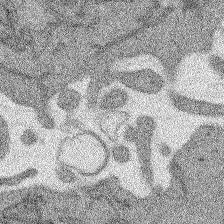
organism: Human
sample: HeLa cells